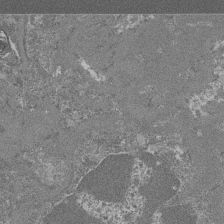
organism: Mouse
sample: Glomerulus